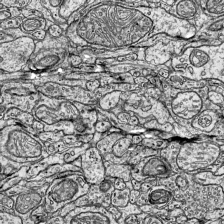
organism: Mouse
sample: Visual Cortex